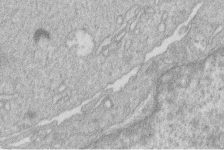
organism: Human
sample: Macrophage cells